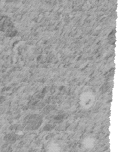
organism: C. elegans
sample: C. elegans embryo early stage